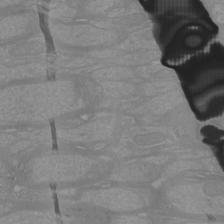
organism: Mouse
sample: Cortical neurons